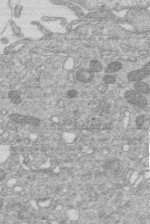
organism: Human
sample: Macrophage cells